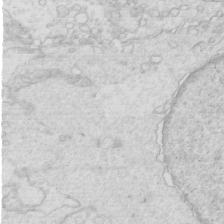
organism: Mouse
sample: Multiciliated cells